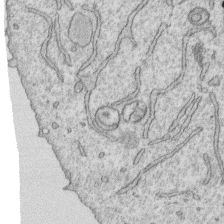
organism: Human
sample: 1205lu cells